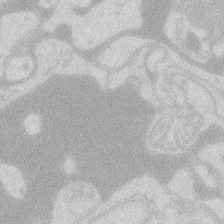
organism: Zebrafish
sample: Macrophage